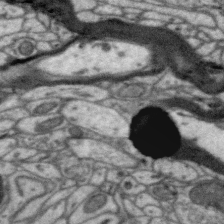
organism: Zebra finch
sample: Brain